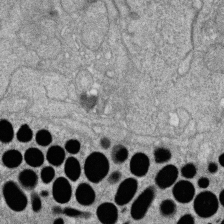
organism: Zebrafish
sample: Cilia; retinal pigment epithelium